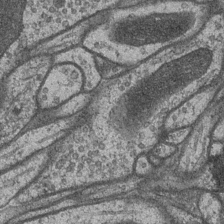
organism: Drosophila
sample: Optic medulla